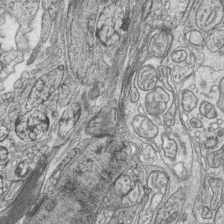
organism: Zebrafish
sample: synaptic ribbons in rod cells and cone cells